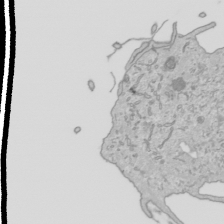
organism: Human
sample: Mitochondria in HCT116 cells